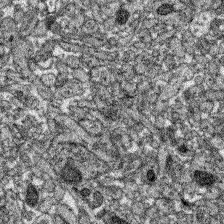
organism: Zebrafish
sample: Larval olfactory bulb